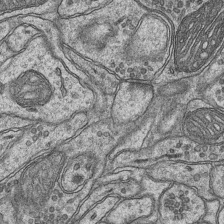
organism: Mouse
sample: CA1 Hippocampus